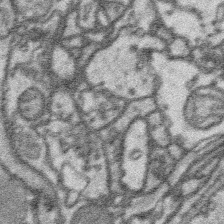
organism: Platynereis dumerilii